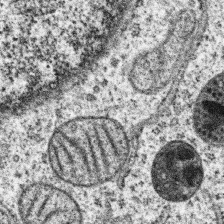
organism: Human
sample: HeLa cells